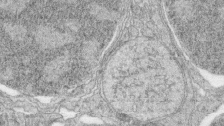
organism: Zebrafish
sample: synaptic ribbons in rod cells and cone cells